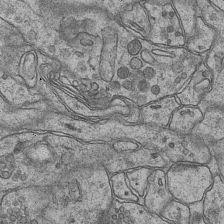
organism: Mouse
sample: CA1 Hippocampus